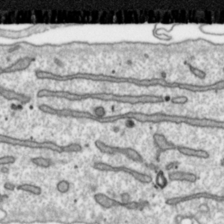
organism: Toxoplasma gondii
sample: Parasites in a vacuole inside a host cell